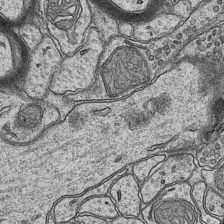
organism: Mouse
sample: CA1 Hippocampus